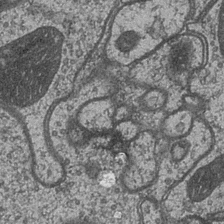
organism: Drosophila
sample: Optic medulla